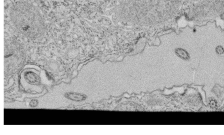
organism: Tetrahymena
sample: Cilia in tetrahymena